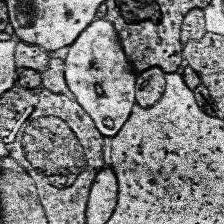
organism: Human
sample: Temporal Lobe